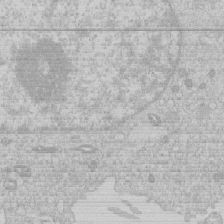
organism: Human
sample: Macrophage cells